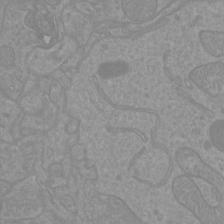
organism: Mouse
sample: Cortical neurons